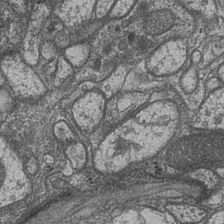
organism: Drosophila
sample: Optic medulla